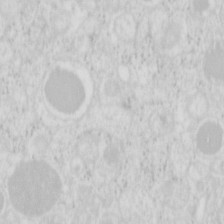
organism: Mouse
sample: Pancreas